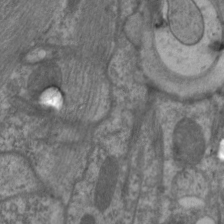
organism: C. elegans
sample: Pharynx